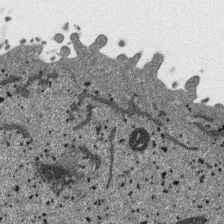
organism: Human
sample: Lung epithelial cells infected with SARS-CoV-2